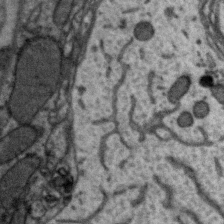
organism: Zebra finch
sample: Brain